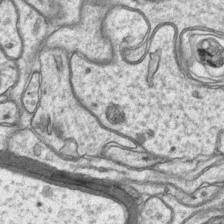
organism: Mouse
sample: CA1 Hippocampus